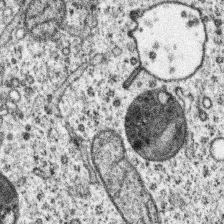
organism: Human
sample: HeLa cells